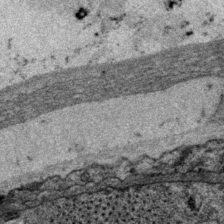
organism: P. pacificus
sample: Pharynx